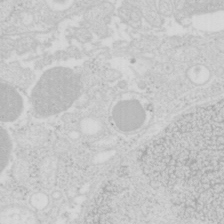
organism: Mouse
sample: Pancreas